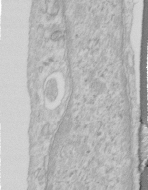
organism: Human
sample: Centriole in RPE cells